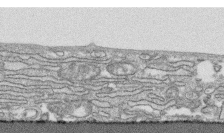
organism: Human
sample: CRL-1474